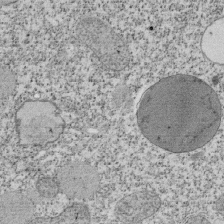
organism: Tetrahymena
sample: Cilia in tetrahymena